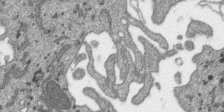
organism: Human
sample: Lung epithelial cells infected with SARS-CoV-2